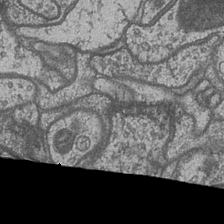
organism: Drosophila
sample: Optic medulla